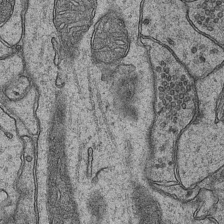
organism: Mouse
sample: CA1 Hippocampus